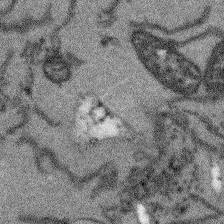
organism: Arabidopsis thaliana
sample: Root tip